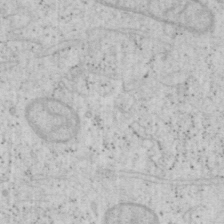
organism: Human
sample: HeLa cells